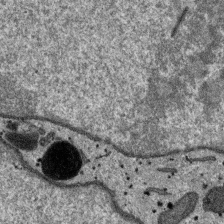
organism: Human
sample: Lung epithelial cells, uninfected (mock) control